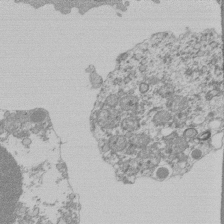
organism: Mouse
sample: Activated Pmel transgenic CD8+ T Cells